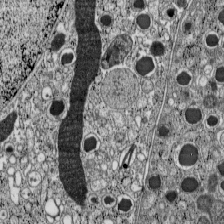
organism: C57BL Mouse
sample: Pancreatic islet